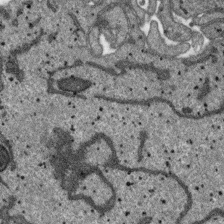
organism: Human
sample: Lung epithelial cells, uninfected (mock) control